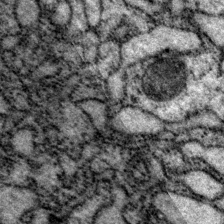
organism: P. pacificus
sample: Pharynx